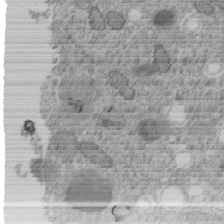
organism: C. elegans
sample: C. elegans embryo early stage